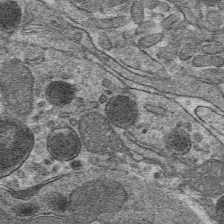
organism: Mouse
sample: Mouse hepatocytes